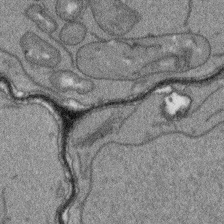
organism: Arabidopsis thaliana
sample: Root tip